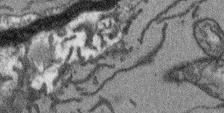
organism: Arabidopsis thaliana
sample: Root tip